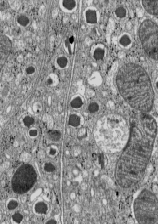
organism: C57BL Mouse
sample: Pancreatic islet